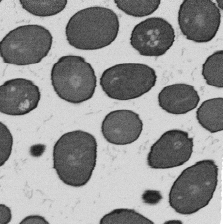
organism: B. subtilis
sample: Bacterial spore